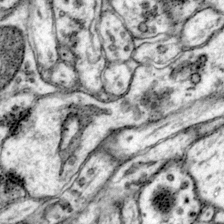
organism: Mouse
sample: Primary visual cortex